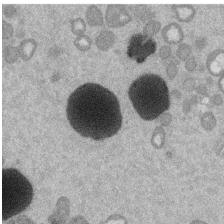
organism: Mouse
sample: Dividing mouse embryo 1 cell stage